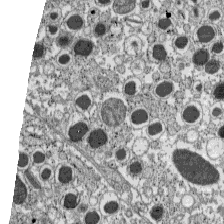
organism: C57BL Mouse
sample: Pancreatic islet